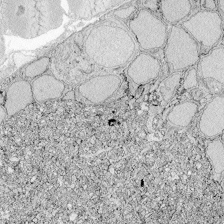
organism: Zebrafish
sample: Whole-Brain